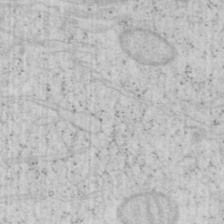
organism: Human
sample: HeLa cells